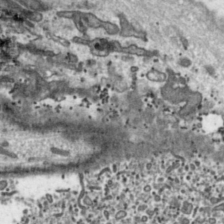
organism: Toxoplasma gondii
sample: Parasites in a vacuole inside a host cell